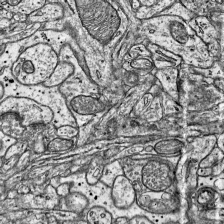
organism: Mouse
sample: Visual Cortex